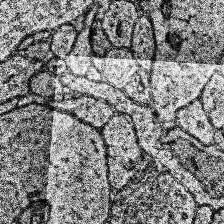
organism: Human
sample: Temporal Lobe